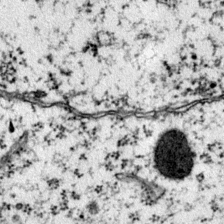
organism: Mouse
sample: Primary visual cortex